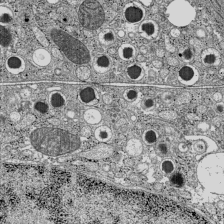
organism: C57BL Mouse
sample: Pancreatic islet